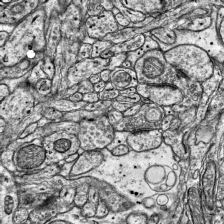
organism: Mouse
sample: Visual Cortex